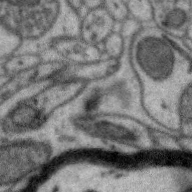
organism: Zebra finch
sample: Brain